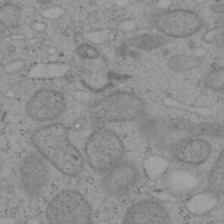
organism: Mouse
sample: OT-I killer T cells with ID8 ovarian cancer cells